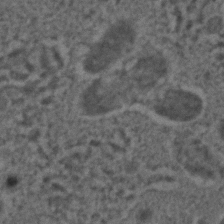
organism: C. elegans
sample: C. elegans embryo